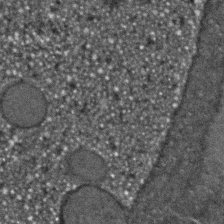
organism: C. elegans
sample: C. elegans embryo